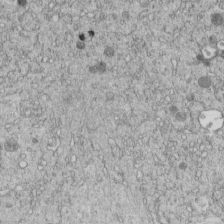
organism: C. elegans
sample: C. elegans embryo early stage